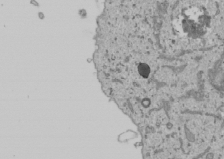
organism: Human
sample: Mitochondria in U2OS cells